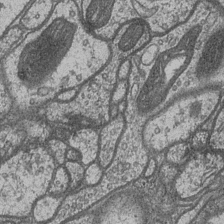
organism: Drosophila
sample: Optic medulla